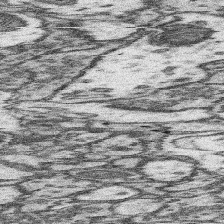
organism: Mouse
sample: Somatosensory cortex neuropil